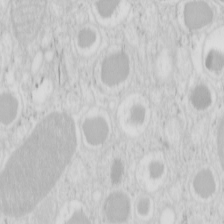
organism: Mouse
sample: Pancreas